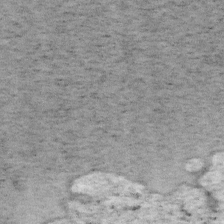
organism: Mouse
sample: OT-I killer T cells with ID8 ovarian cancer cells